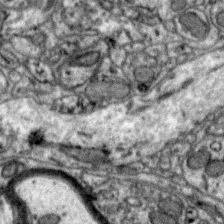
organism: Zebra finch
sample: Brain